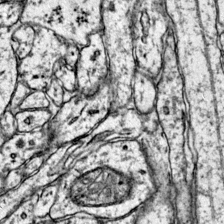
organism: Mouse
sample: Primary visual cortex